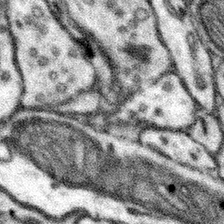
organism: Mouse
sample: Somatosensory cortex neuropil